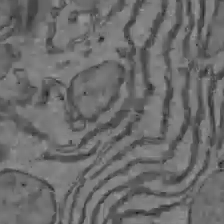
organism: C57BL Mouse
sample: Liver